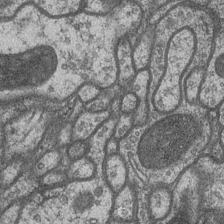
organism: Drosophila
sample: Optic medulla